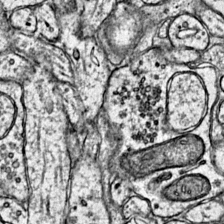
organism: Mouse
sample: Primary visual cortex